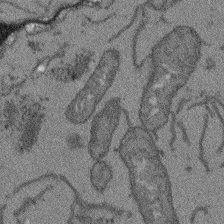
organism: Arabidopsis thaliana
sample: Root tip